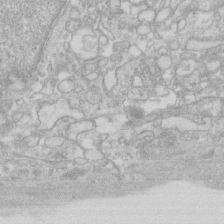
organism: Human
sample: Fibroblast cells